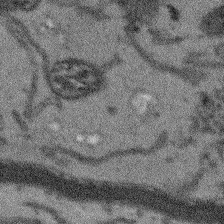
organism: Arabidopsis thaliana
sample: Root tip